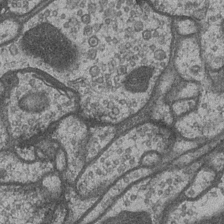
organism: Drosophila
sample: Optic medulla